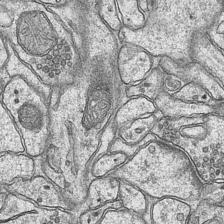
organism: Mouse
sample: CA1 Hippocampus